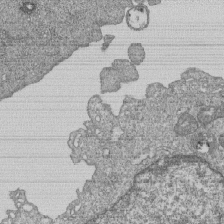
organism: Human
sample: MDA-MB-231 cells